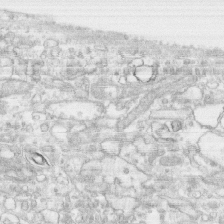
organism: Human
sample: CRL-1474